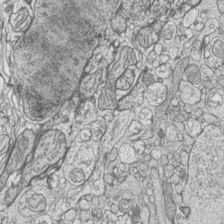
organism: Zebrafish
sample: synaptic ribbons in rod cells and cone cells